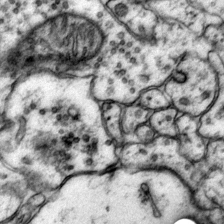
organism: Mouse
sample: Primary visual cortex